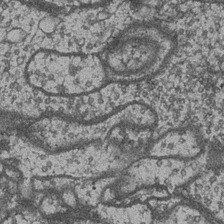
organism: Drosophila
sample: Optic medulla